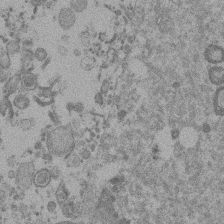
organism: Mouse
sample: Dividing mouse embryo 1 cell stage